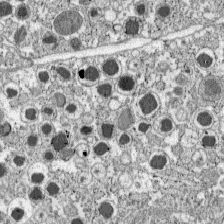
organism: C57BL Mouse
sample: Pancreatic islet